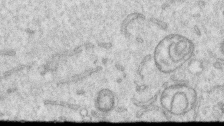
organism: Human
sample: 1205lu cells